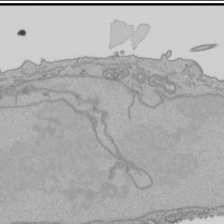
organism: Human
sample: Mitochondria in HCT116 cells